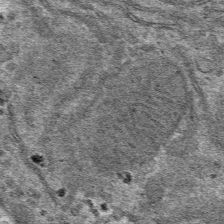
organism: Mouse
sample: Mouse hepatocytes